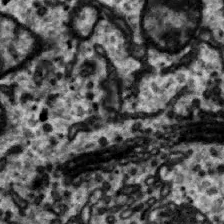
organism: Human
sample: HeLa cells